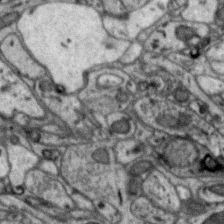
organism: Zebra finch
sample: Brain